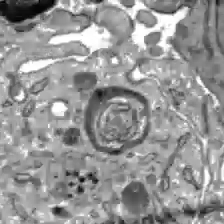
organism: C57BL Mouse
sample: Liver